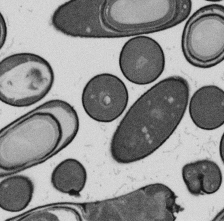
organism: B. subtilis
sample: Bacterial spore